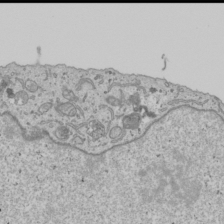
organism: Human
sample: Mitochondria in U2OS cells